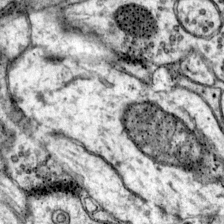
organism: Mouse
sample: Primary visual cortex